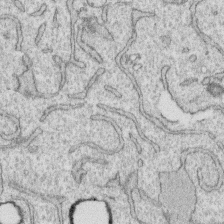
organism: Human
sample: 1205lu cells